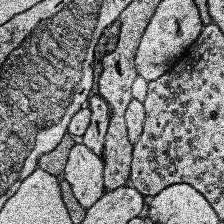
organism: Human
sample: Temporal Lobe